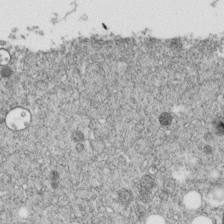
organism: C. elegans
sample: C. elegans embryo early stage